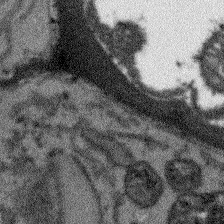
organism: Arabidopsis thaliana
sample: Root tip